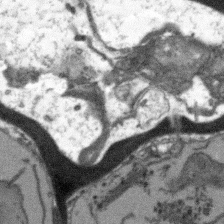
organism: Arabidopsis thaliana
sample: Root tip